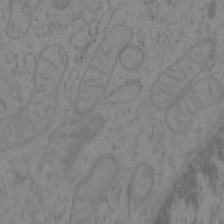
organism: Human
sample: HeLa cells